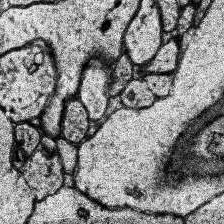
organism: Human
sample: Temporal Lobe